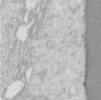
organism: Human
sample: Centriole in RPE cells